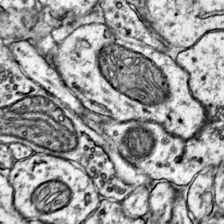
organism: Mouse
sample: Primary visual cortex